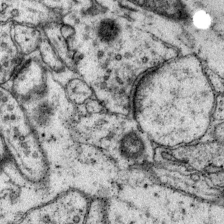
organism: Mouse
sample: Primary visual cortex